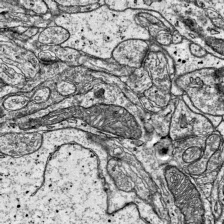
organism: Mouse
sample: Visual Cortex